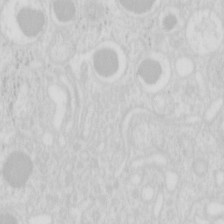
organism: Mouse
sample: Pancreas